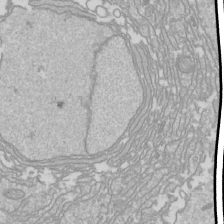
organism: Drosophila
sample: Cell division; meiosis; drosophila spermatocytes